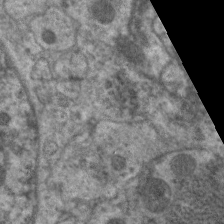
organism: C. elegans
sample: Pharynx